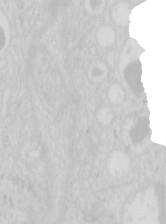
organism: Mouse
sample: Pancreas